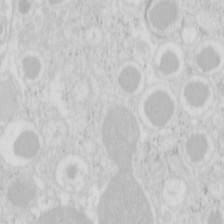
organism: Mouse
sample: Pancreas